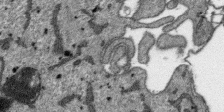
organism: Human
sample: Lung epithelial cells, uninfected (mock) control